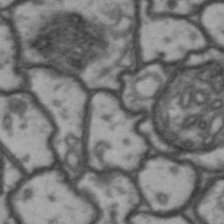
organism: Drosophila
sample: Brain